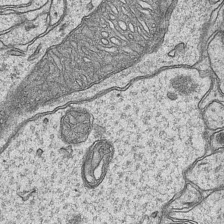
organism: Mouse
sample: CA1 Hippocampus